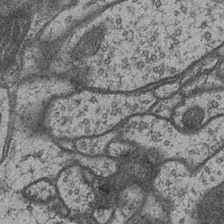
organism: Drosophila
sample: Optic medulla